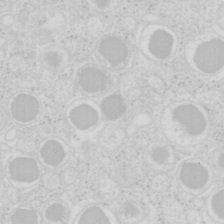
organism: Mouse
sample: Pancreas